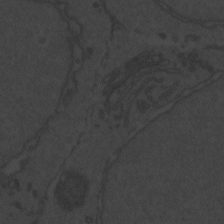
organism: Zebrafish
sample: Macrophage infected with Toxoplasma gondii